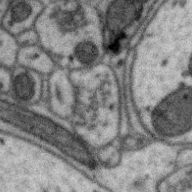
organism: Zebra finch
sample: Brain